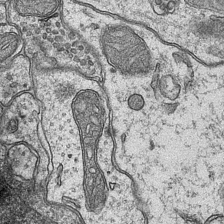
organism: Mouse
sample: CA1 Hippocampus